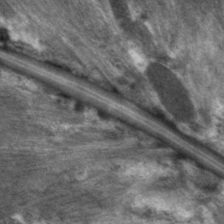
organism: C. elegans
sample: Pharynx